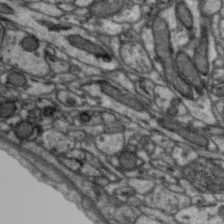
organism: Zebra finch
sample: Brain